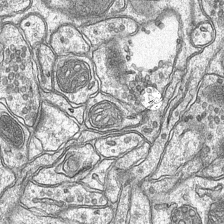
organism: Mouse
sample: CA1 Hippocampus